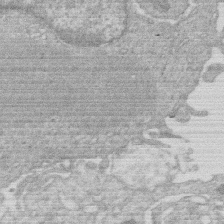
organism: Human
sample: Macrophage cells